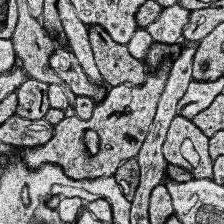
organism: Human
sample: Temporal Lobe